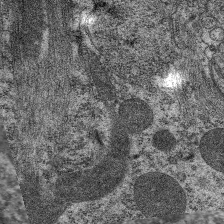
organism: C. elegans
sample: Pharynx